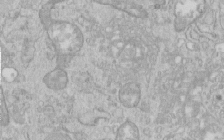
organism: Human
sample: Centriole in RPE cells